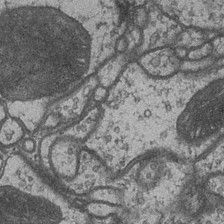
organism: Drosophila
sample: Optic medulla